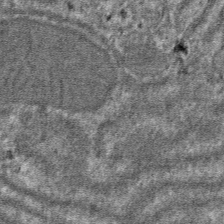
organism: Mouse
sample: Mouse hepatocytes